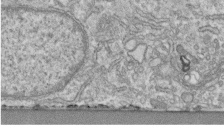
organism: Human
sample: Centriole in fibroblast cells